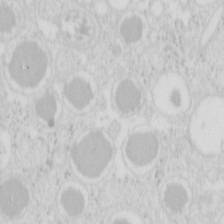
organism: Mouse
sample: Pancreas